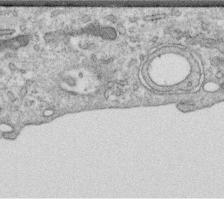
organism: Human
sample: Centriole in RPE cells